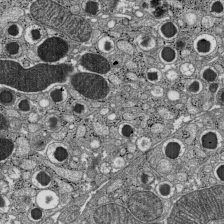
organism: C57BL Mouse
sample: Pancreatic islet